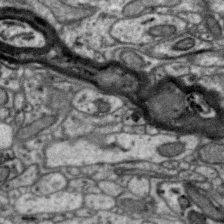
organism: Zebra finch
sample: Brain